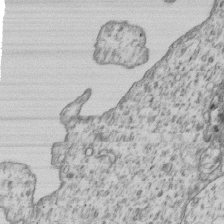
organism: Human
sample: MDA-MB-231 cells